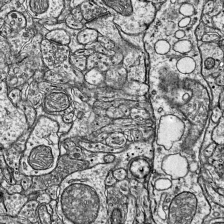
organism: Mouse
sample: Visual Cortex